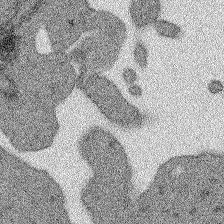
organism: Human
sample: HeLa cells